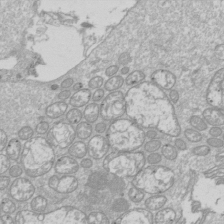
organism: Drosophila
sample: Cell division; meiosis; drosophila spermatocytes